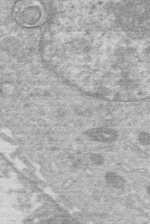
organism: Human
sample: Macrophage cells